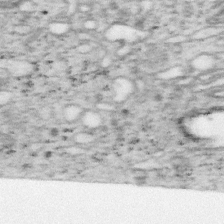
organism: Mouse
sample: OT-I killer T cells with ID8 ovarian cancer cells